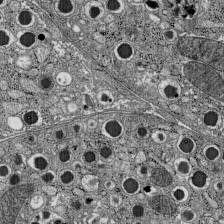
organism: C57BL Mouse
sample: Pancreatic islet